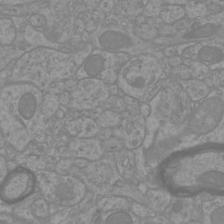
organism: Mouse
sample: Cortical neurons